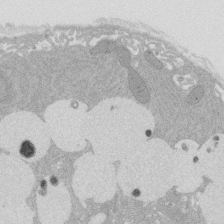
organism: Rat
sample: Salivary granule